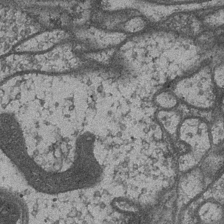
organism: Drosophila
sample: Optic medulla